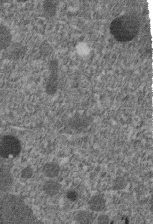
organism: C. elegans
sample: C. elegans embryo early stage